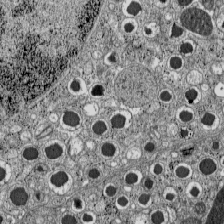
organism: C57BL Mouse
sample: Pancreatic islet